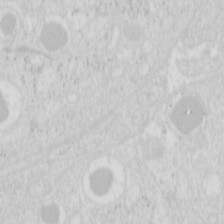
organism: Mouse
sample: Pancreas